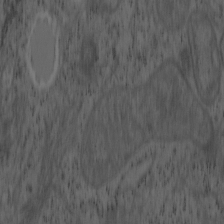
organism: Human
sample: HeLa cells